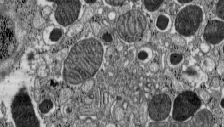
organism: C57BL Mouse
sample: Pancreatic islet